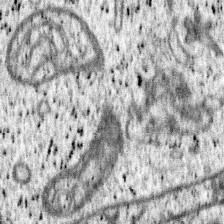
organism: Human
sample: HeLa cells